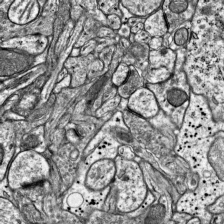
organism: Mouse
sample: Visual Cortex